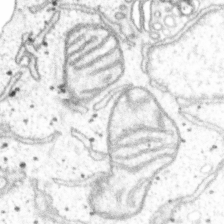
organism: Human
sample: HeLa cells